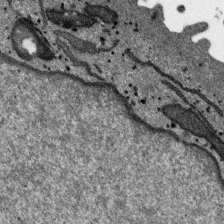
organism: Human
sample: Lung epithelial cells, uninfected (mock) control